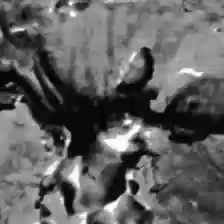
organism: C57BL Mouse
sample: Liver